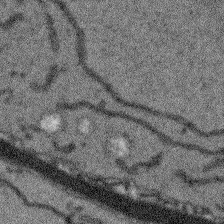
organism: Arabidopsis thaliana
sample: Root tip